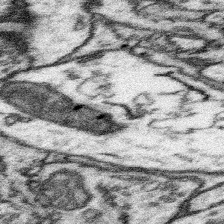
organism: Mouse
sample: Somatosensory cortex neuropil